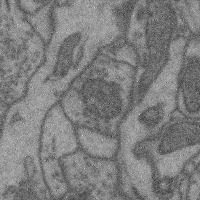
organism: Mouse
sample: Cerebral cortex